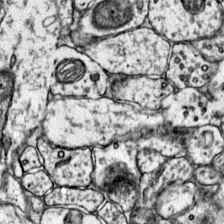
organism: Mouse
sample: Primary visual cortex